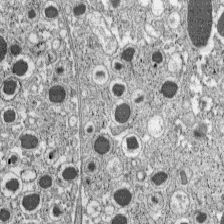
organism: C57BL Mouse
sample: Pancreatic islet